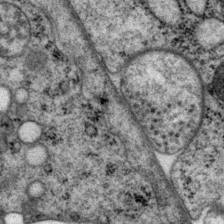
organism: P. pacificus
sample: Pharynx